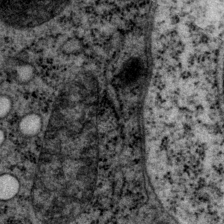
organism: P. pacificus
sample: Pharynx